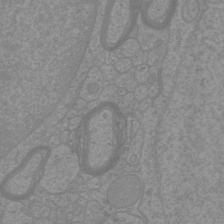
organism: Mouse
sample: Cortical neurons